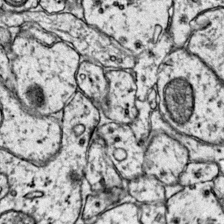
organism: Mouse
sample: Primary visual cortex